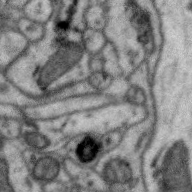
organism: Zebra finch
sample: Brain